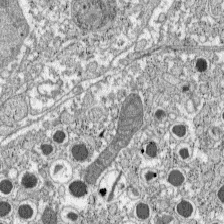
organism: C57BL Mouse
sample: Pancreatic islet